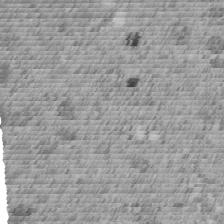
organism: C. elegans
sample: C. elegans embryo early stage